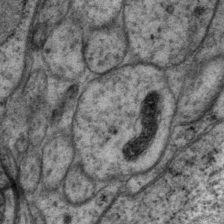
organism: P. pacificus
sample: Pharynx